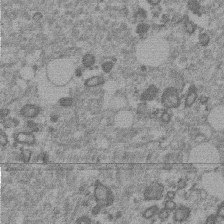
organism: Mouse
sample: Dividing mouse embryo 1 cell stage